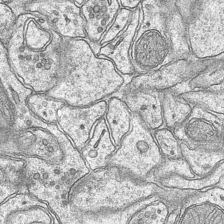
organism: Mouse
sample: CA1 Hippocampus